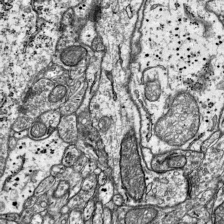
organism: Mouse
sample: Visual Cortex